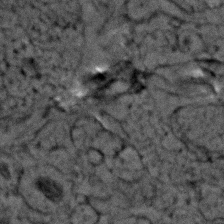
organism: Zebrafish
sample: Zebrafish embryo